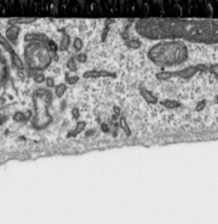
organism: Toxoplasma gondii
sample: Parasites in a vacuole inside a host cell